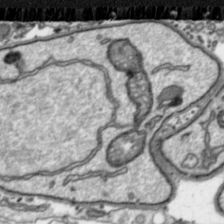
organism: Toxoplasma gondii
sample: Parasites in a vacuole inside a host cell